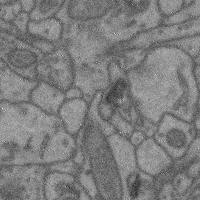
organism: Mouse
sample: Cerebral cortex